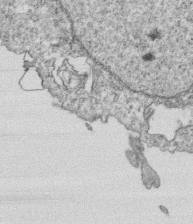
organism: Human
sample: HeLa cell HIV synapse